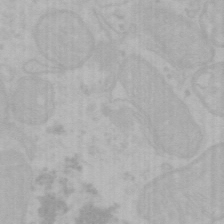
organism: Mouse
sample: Choroid plexus